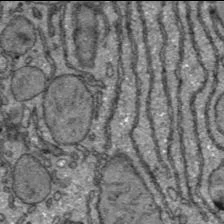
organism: C57BL Mouse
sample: Liver